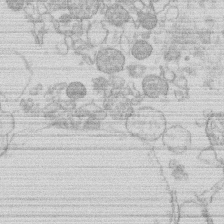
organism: Human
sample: Macrophage cells